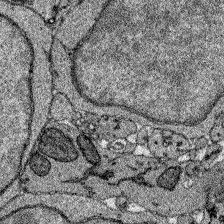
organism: Zebrafish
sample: Larval olfactory bulb